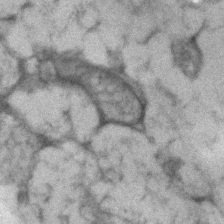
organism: Human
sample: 1205lu cells